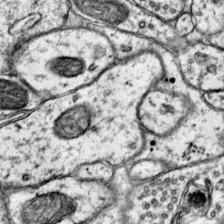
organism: Mouse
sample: Primary visual cortex